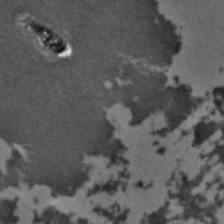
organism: C. elegans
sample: C. elegans embryo